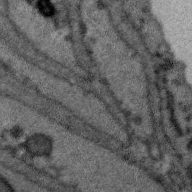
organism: Zebra finch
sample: Brain